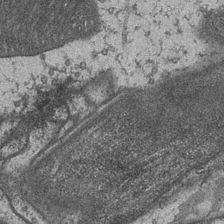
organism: Drosophila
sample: Optic medulla